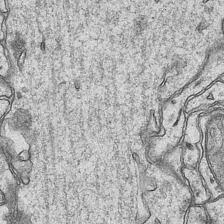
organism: Mouse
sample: CA1 Hippocampus